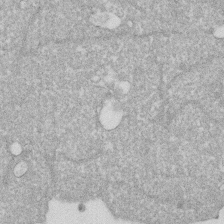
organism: Human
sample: HIV infected U937 cells